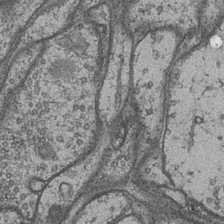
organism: Drosophila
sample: Optic medulla